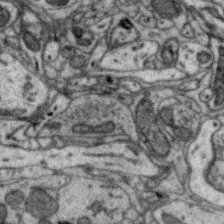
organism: Zebra finch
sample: Brain